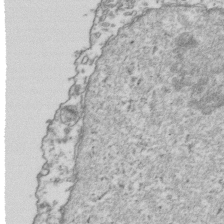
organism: Human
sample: Activated Jurkat CD4+ T cells